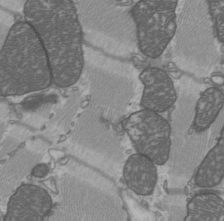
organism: C57BL Mouse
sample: Heart